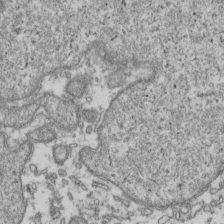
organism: Human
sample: Activated Jurkat CD4+ T cells